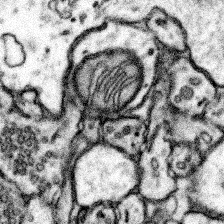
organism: Mouse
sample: Somatosensory cortex neuropil